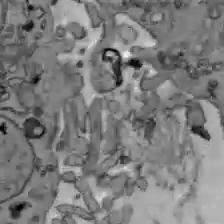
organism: C57BL Mouse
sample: Liver